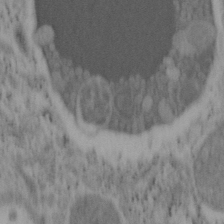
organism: Mouse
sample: OT-I killer T cells with ID8 ovarian cancer cells